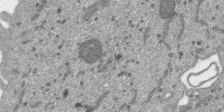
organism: Human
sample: Lung epithelial cells infected with SARS-CoV-2